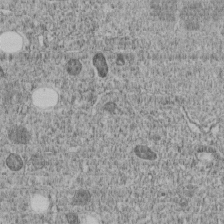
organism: C. elegans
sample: C. elegans embryo early stage